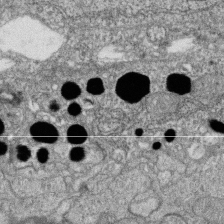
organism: Zebrafish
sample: Cilia; retinal pigment epithelium